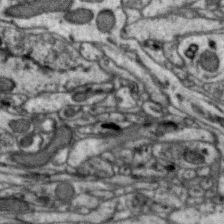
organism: Zebra finch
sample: Brain